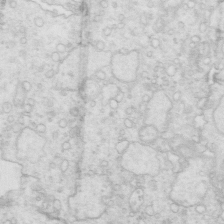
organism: Mouse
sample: Multiciliated cells